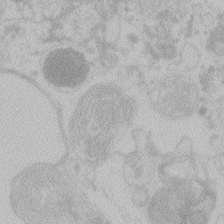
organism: Zebrafish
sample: Macrophage infected with Toxoplasma gondii